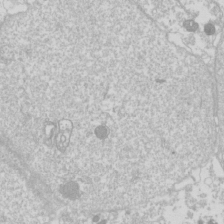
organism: Drosophila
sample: Cell division; meiosis; drosophila spermatocytes